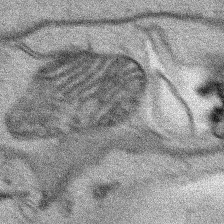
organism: Human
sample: Mitochondria in HCT116 cells